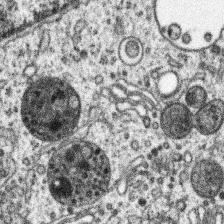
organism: Human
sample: HeLa cells